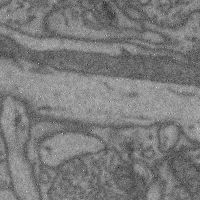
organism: Mouse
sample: Cerebral cortex